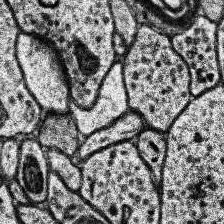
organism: Human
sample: Temporal Lobe